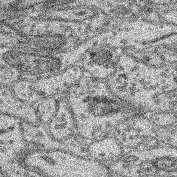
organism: Mouse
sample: Retina